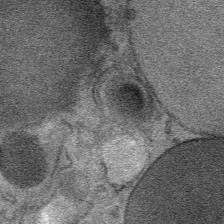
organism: Mouse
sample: Mouse Salivary gland